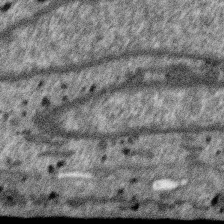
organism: Human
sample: Lung epithelial cells infected with SARS-CoV-2